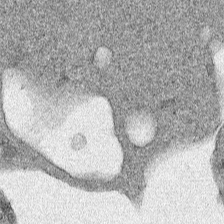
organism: Human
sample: Mitochondria in HCT116 cells